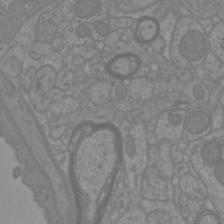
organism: Mouse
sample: Cortical neurons